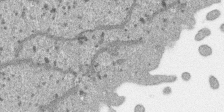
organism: Human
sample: Lung epithelial cells infected with SARS-CoV-2